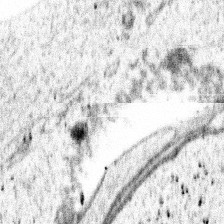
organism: Human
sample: HeLa cells